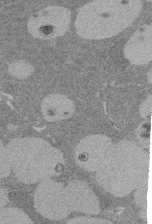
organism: Rat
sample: Salivary granule